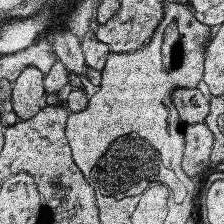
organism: Human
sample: Temporal Lobe